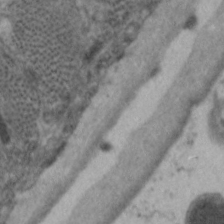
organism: C. elegans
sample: Pharynx